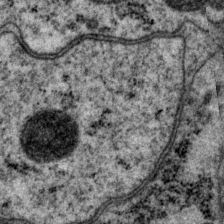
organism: P. pacificus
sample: Pharynx